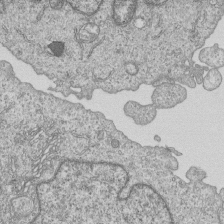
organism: Human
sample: MDA-MB-231 cells